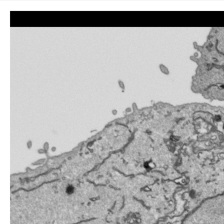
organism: Human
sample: Mitochondria in HCT116 cells